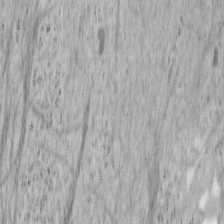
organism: Human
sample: HeLa cells